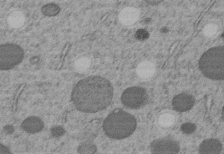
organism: C. elegans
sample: C. elegans embryo early stage